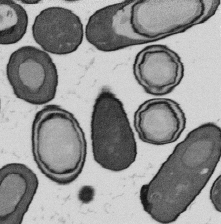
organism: B. subtilis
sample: Bacterial spore